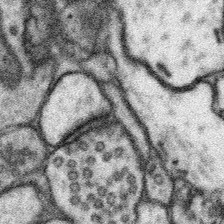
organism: Mouse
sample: Somatosensory cortex neuropil